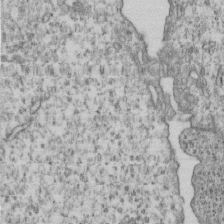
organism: Human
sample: MDA-MB-231 cells